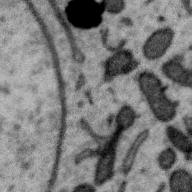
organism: Zebra finch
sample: Brain